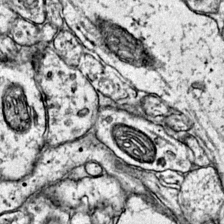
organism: Mouse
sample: Primary visual cortex